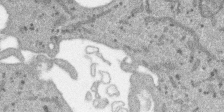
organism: Human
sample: Lung epithelial cells infected with SARS-CoV-2